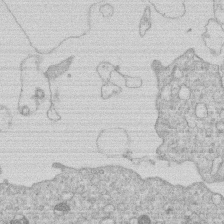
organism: Human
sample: Macrophage cells